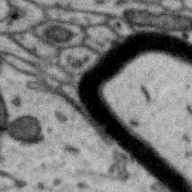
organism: Zebra finch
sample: Brain